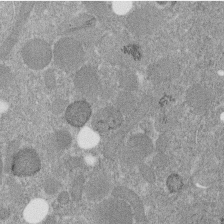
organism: C. elegans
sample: C. elegans embryo early stage